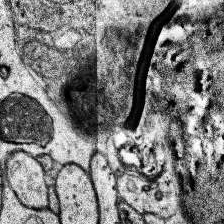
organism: Human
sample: Temporal Lobe